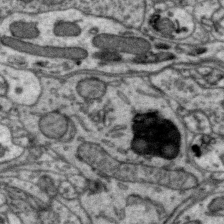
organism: Zebra finch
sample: Brain